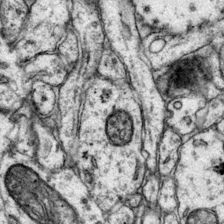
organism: Mouse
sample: Primary visual cortex